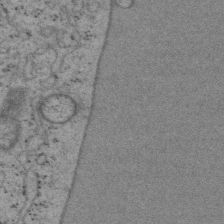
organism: Human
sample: HeLa cells